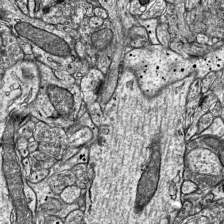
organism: Mouse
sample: Visual Cortex